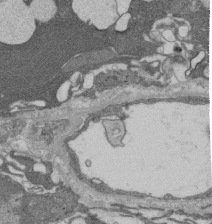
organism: Rat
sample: Salivary granule